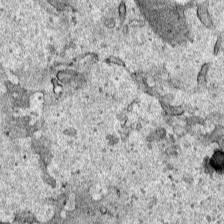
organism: Human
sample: Mitochondria in HCT116 cells